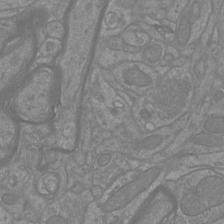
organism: Mouse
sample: Cortical neurons